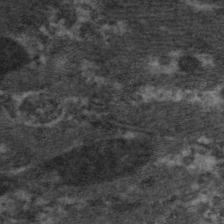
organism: C. elegans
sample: Pharynx